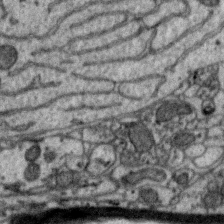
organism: Zebra finch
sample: Brain